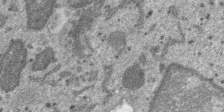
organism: Human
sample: Lung epithelial cells infected with SARS-CoV-2